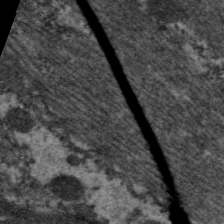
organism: C. elegans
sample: Pharynx